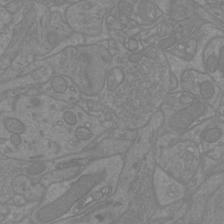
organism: Mouse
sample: Cortical neurons